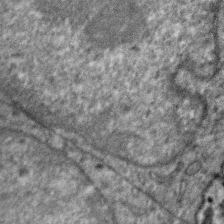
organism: Zebra finch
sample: Brain